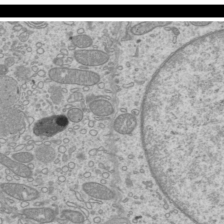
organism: Mouse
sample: Cilia; mouse epididymis